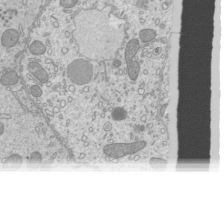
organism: Mouse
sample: Cilia; mouse epididymis